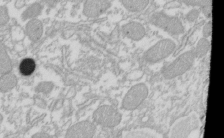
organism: Xenopus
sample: Cilia; centrioles in frog embryo cells